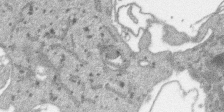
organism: Human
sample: Lung epithelial cells infected with SARS-CoV-2